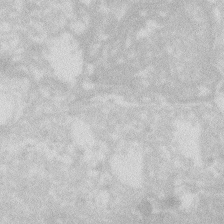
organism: Zebrafish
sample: Macrophage